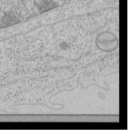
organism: Human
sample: Mitochondria in HCT116 cells